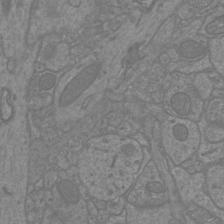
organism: Mouse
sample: Cortical neurons